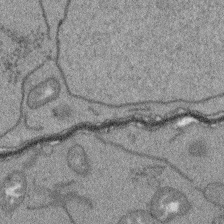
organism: Arabidopsis thaliana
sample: Root tip